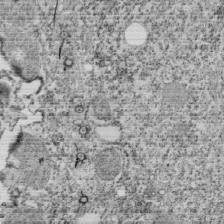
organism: Tetrahymena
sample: Cilia in tetrahymena